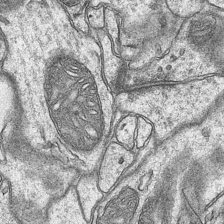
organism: Mouse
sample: CA1 Hippocampus